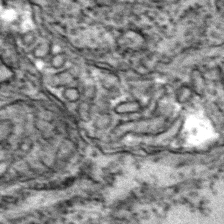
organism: Zebrafish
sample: Zebrafish embryo